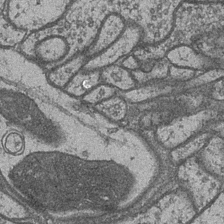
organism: Drosophila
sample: Optic medulla